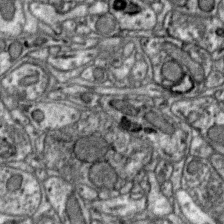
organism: Zebra finch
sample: Brain